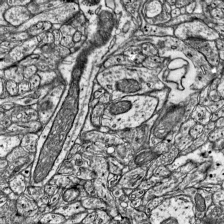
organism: Mouse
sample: Visual Cortex